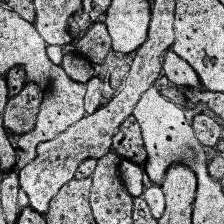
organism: Human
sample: Temporal Lobe